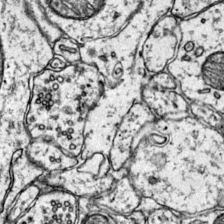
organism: Mouse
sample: Primary visual cortex